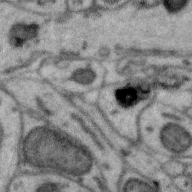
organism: Zebra finch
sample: Brain